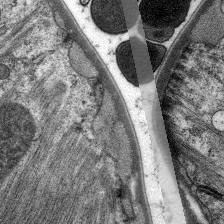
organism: C. elegans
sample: Pharynx